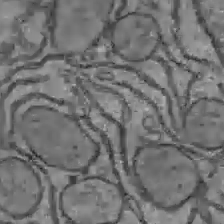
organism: C57BL Mouse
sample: Liver